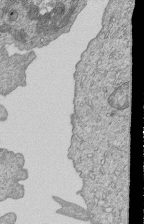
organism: Human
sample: MDA-MB-231 cells